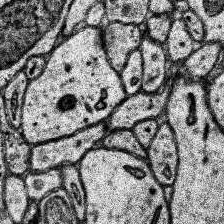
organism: Human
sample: Temporal Lobe